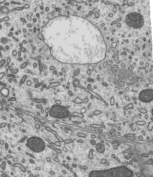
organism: Mouse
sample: Mouse epididymis efferent ductule cilia